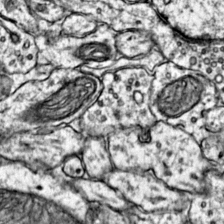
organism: Mouse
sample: Primary visual cortex